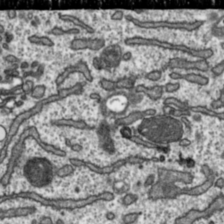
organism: Toxoplasma gondii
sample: Parasites in a vacuole inside a host cell